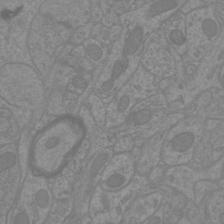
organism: Mouse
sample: Cortical neurons